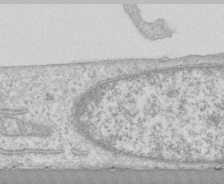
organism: Human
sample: CRL-1474